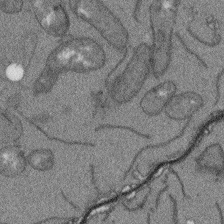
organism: Arabidopsis thaliana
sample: Root tip